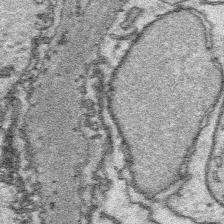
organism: Platynereis dumerilii